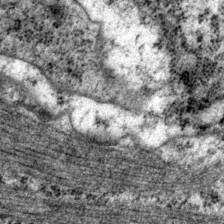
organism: P. pacificus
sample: Pharynx